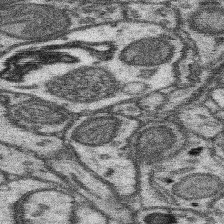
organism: Mouse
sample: Somatosensory cortex neuropil